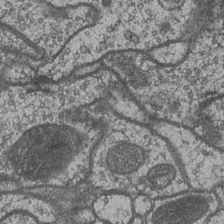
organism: Drosophila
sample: Optic medulla